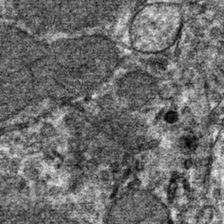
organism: Mouse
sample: Mouse hepatocytes